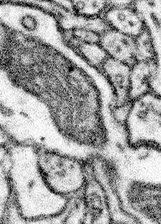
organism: Mouse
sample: Somatosensory cortex neuropil